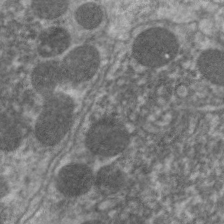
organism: C. elegans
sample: Pharynx